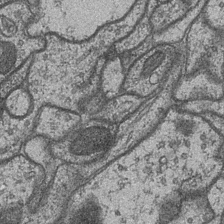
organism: Drosophila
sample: Optic medulla